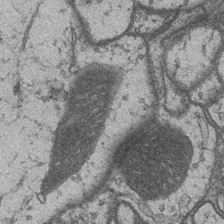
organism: Drosophila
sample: Optic medulla